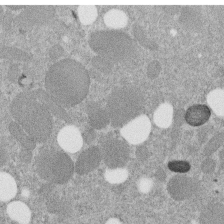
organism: C. elegans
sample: C. elegans embryo early stage